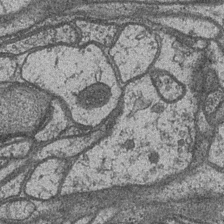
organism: Drosophila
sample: Optic medulla